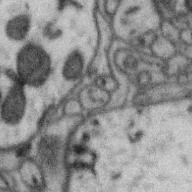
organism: Zebra finch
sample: Brain